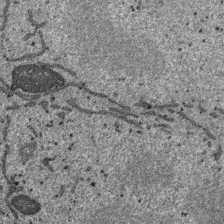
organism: Human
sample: Lung epithelial cells infected with SARS-CoV-2